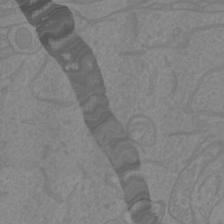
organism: Mouse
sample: Cortical neurons